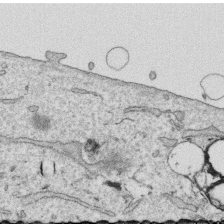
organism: Human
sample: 1205lu cells